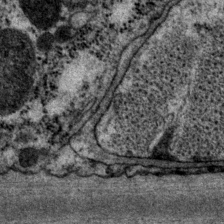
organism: P. pacificus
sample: Pharynx